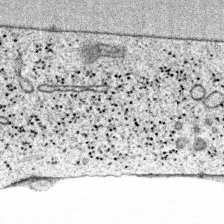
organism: Human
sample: HeLa cells